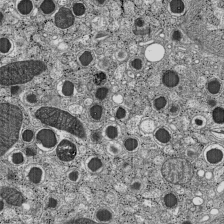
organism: C57BL Mouse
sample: Pancreatic islet